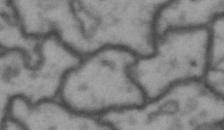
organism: Drosophila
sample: Brain